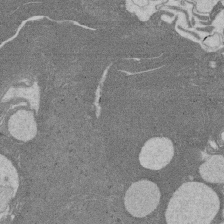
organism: Rat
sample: Salivary granule